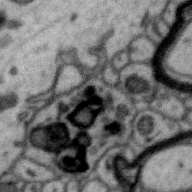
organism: Zebra finch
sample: Brain